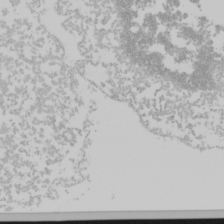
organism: Mouse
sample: Cancer cell death in ED-1 cells